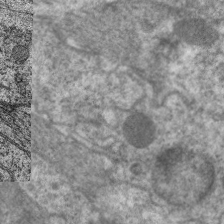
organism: C. elegans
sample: Pharynx